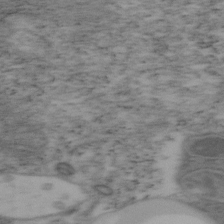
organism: Mouse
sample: OT-I killer T cells with ID8 ovarian cancer cells